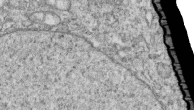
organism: Human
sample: HeLa cell HIV synapse